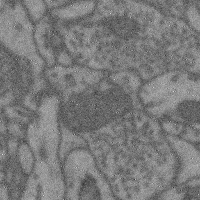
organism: Mouse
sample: Cerebral cortex